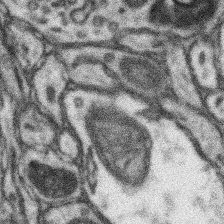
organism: Mouse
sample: Somatosensory cortex neuropil